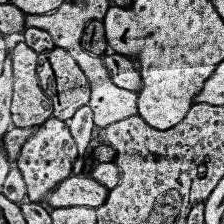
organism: Human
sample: Temporal Lobe